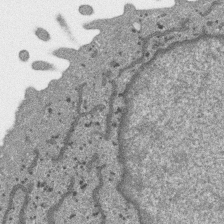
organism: Human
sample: Lung epithelial cells infected with SARS-CoV-2